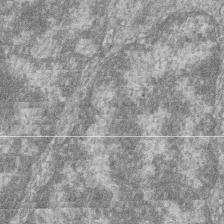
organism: Zebrafish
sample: Cilia; retinal pigment epithelium